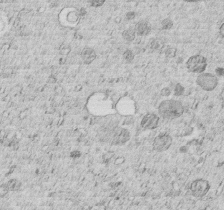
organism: C. elegans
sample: C. elegans embryo early stage